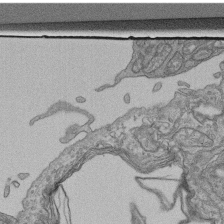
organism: Human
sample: Retinal organoid Rod and Cone cells